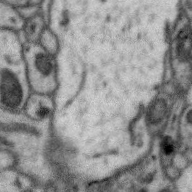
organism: Zebra finch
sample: Brain